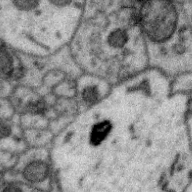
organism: Zebra finch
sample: Brain